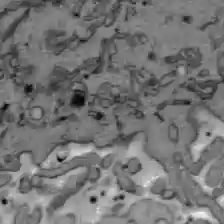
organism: C57BL Mouse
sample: Liver